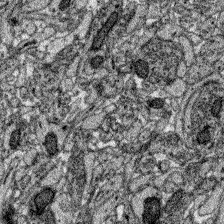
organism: Zebrafish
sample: Larval olfactory bulb